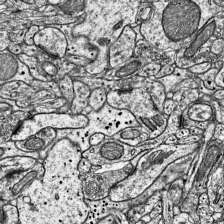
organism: Mouse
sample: Visual Cortex